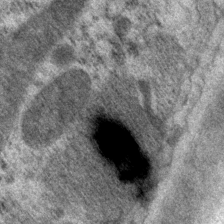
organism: P. pacificus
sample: Pharynx